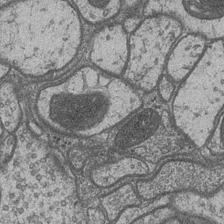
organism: Drosophila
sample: Optic medulla